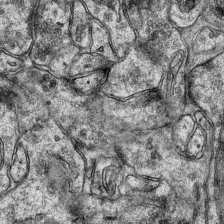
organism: Mouse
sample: CA1 Hippocampus